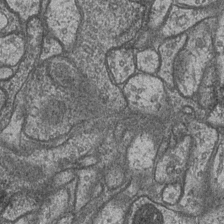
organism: Drosophila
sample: Optic medulla